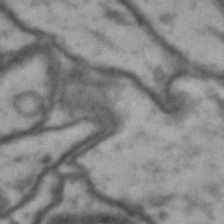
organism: Drosophila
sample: Brain